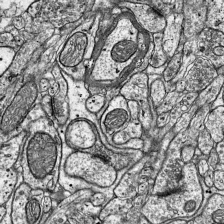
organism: Mouse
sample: Visual Cortex